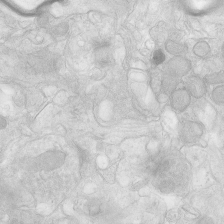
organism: Human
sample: Neocortex